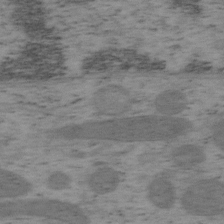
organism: Mouse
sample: OT-I killer T cells with ID8 ovarian cancer cells